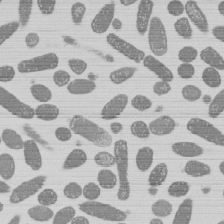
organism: E. coli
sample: Bacterial nucleoid